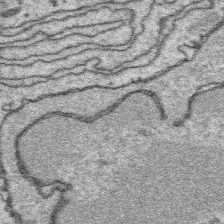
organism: Platynereis dumerilii